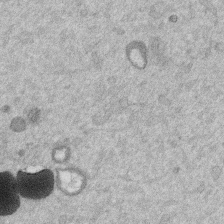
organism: Mouse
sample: Dividing mouse embryo 1 cell stage